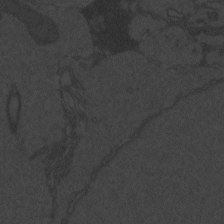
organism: Zebrafish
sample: Macrophage infected with Toxoplasma gondii